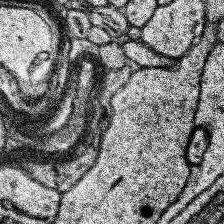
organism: Human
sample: Temporal Lobe